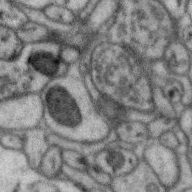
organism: Zebra finch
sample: Brain